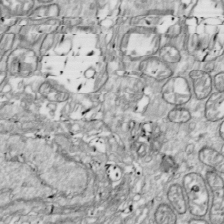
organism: Drosophila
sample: Cell division; meiosis; drosophila spermatocytes